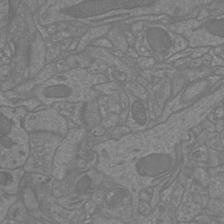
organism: Mouse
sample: Cortical neurons